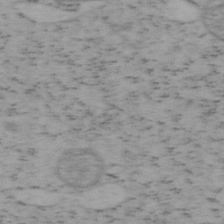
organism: Mouse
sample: OT-I killer T cells with ID8 ovarian cancer cells